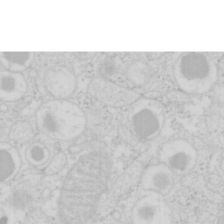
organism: Mouse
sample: Pancreas